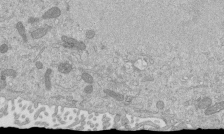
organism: Mouse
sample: ED-1 cell nuclei; centrioles